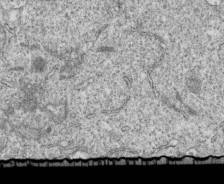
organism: Human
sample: HeLa cell HIV synapse